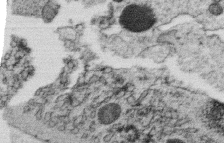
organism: C. elegans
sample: C. elegans oocyte; sperm cells